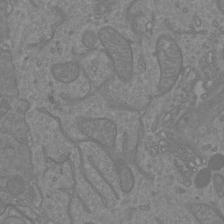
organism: Mouse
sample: Cortical neurons